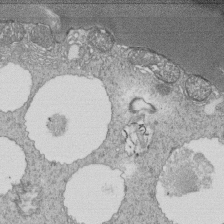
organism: Tetrahymena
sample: Cilia in tetrahymena